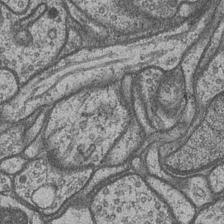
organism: Drosophila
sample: Optic medulla